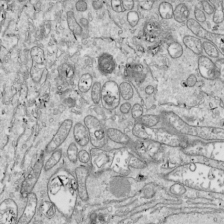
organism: Drosophila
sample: Cell division; meiosis; drosophila spermatocytes